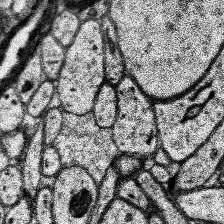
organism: Human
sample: Temporal Lobe